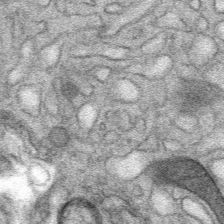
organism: Mouse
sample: Mouse Salivary gland